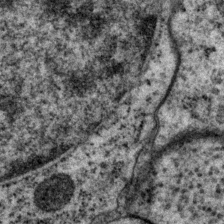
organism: P. pacificus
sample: Pharynx